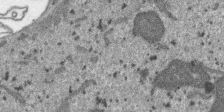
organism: Human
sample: Lung epithelial cells infected with SARS-CoV-2